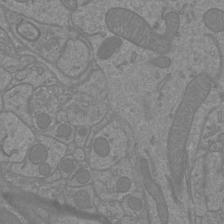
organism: Mouse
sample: Cortical neurons